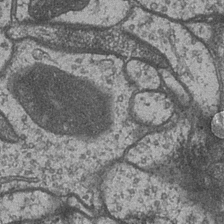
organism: Drosophila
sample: Optic medulla